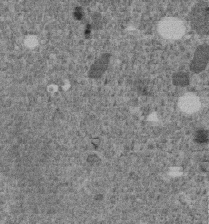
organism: C. elegans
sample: C. elegans embryo early stage